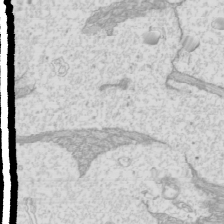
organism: Mouse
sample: Cilia; mouse epididymis